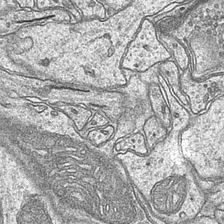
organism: Mouse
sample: CA1 Hippocampus